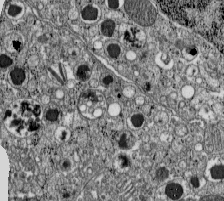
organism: C57BL Mouse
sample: Pancreatic islet